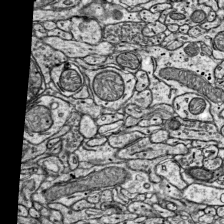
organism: Mouse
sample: Visual Cortex